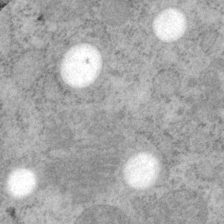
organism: P. pacificus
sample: Pharynx